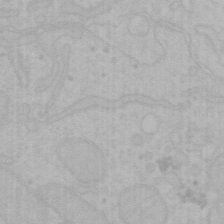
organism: Mouse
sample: Choroid plexus